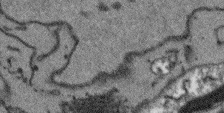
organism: Arabidopsis thaliana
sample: Root tip